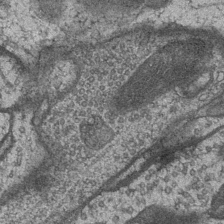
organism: Drosophila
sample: Optic medulla